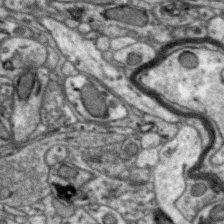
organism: Zebra finch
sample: Brain